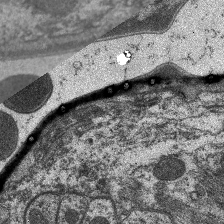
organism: C. elegans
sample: Pharynx